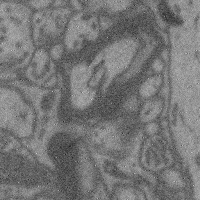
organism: Mouse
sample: Cerebral cortex